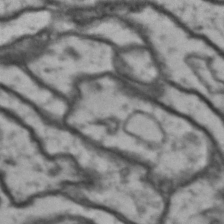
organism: Drosophila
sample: Brain